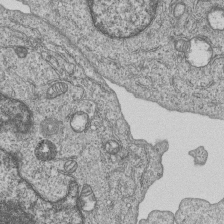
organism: Human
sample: MDA-MB-231 cells